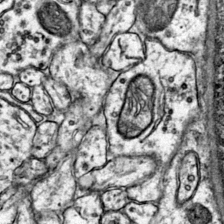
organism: Mouse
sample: Primary visual cortex